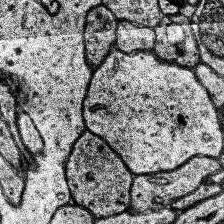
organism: Human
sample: Temporal Lobe